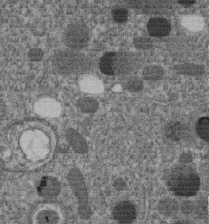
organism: C. elegans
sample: C. elegans embryo early stage